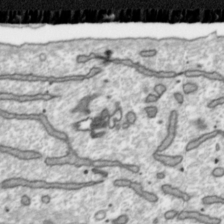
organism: Toxoplasma gondii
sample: Parasites in a vacuole inside a host cell